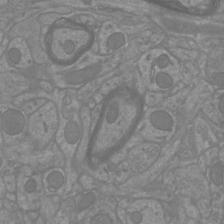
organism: Mouse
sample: Cortical neurons